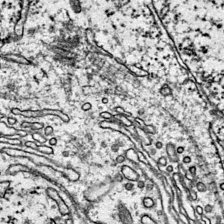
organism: Mouse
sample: Primary visual cortex